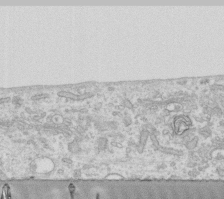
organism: Human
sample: Fibroblast cells